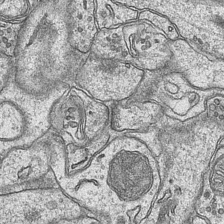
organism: Mouse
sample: CA1 Hippocampus